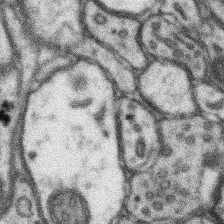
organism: Mouse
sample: Somatosensory cortex neuropil